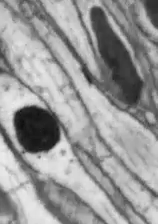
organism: Drosophila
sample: Optic lobe